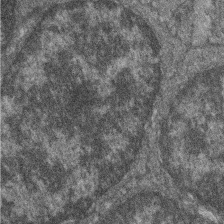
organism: Zebrafish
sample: Cilia; retinal pigment epithelium